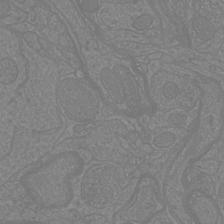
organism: Mouse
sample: Cortical neurons